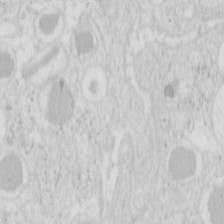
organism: Mouse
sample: Pancreas